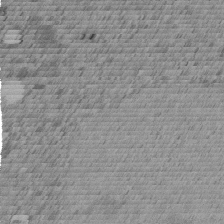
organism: C. elegans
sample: C. elegans embryo early stage